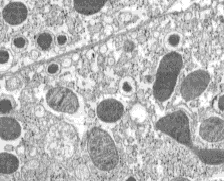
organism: C57BL Mouse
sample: Pancreatic islet